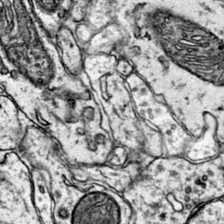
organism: Mouse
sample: Primary visual cortex